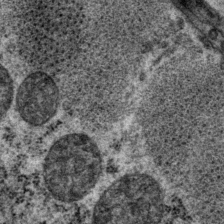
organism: P. pacificus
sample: Pharynx